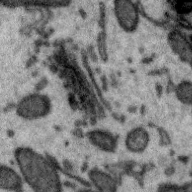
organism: Zebra finch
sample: Brain